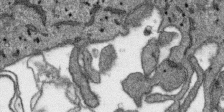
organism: Human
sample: Lung epithelial cells, uninfected (mock) control